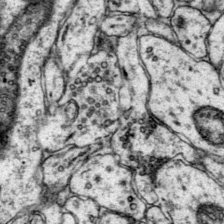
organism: Mouse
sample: Primary visual cortex